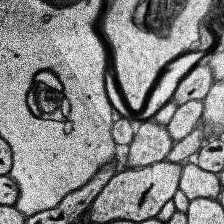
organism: Human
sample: Temporal Lobe